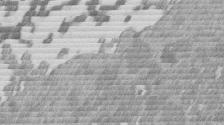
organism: Mouse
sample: Dividing mouse embryo 1 cell stage